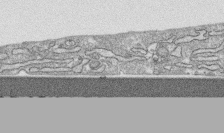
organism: Human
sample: CRL-1474